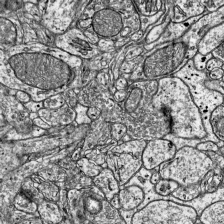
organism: Mouse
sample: Visual Cortex